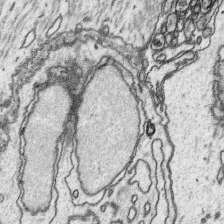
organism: Platynereis dumerilii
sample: Parapodia